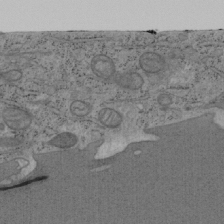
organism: Human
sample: HeLa cells